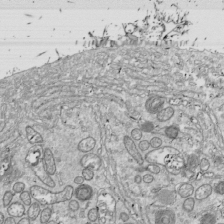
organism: Drosophila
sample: Cell division; meiosis; drosophila spermatocytes